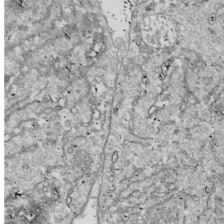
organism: Drosophila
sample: Cell division; meiosis; drosophila spermatocytes